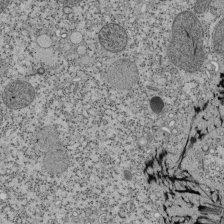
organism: Tetrahymena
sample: Cilia in tetrahymena